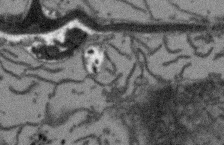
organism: Arabidopsis thaliana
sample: Root tip